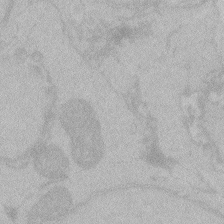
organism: Zebrafish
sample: Macrophage infected with Toxoplasma gondii